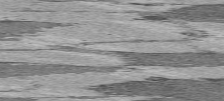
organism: C57BL Mouse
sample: Heart